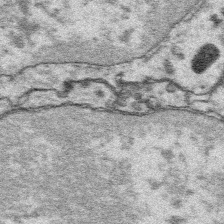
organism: Platynereis dumerilii